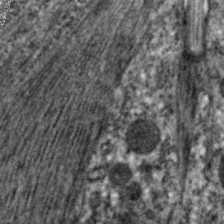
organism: C. elegans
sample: Pharynx